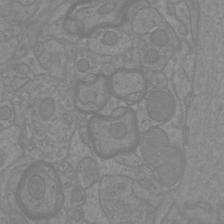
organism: Mouse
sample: Cortical neurons